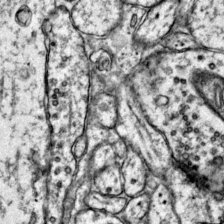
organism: Mouse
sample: Primary visual cortex